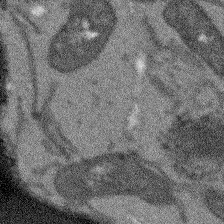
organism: Arabidopsis thaliana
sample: Root tip